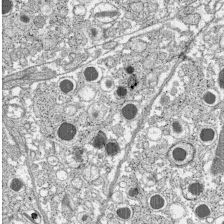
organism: C57BL Mouse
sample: Pancreatic islet